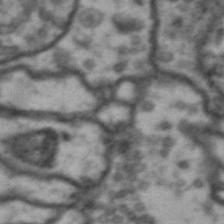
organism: Drosophila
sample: Brain